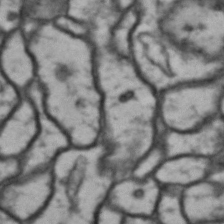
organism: Drosophila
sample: Brain